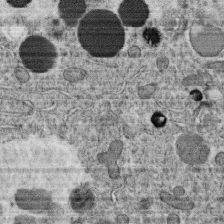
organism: C. elegans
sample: C. elegans oocyte; sperm cells